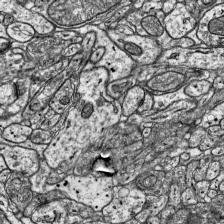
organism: Mouse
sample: Visual Cortex